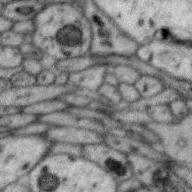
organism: Zebra finch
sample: Brain